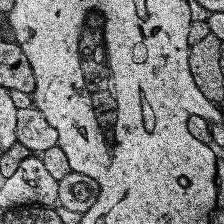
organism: Human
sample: Temporal Lobe